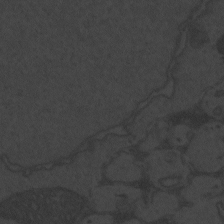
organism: Zebrafish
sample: Macrophage infected with Toxoplasma gondii